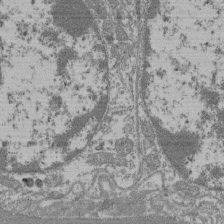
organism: Mouse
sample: Glomerulus